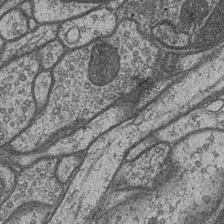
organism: Drosophila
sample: Optic medulla